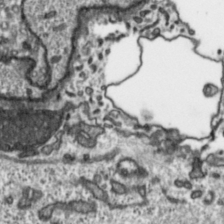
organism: Toxoplasma gondii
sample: Parasites in a vacuole inside a host cell